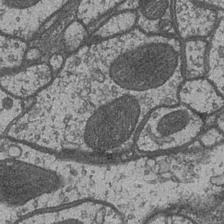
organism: Drosophila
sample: Optic medulla